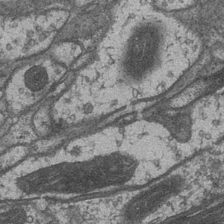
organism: Drosophila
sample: Optic medulla